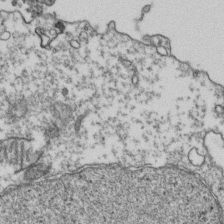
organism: Human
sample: Activated Jurkat CD4+ T cells